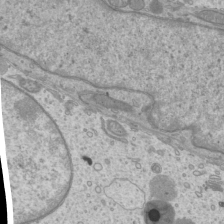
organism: Mouse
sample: Cilia; mouse epididymis